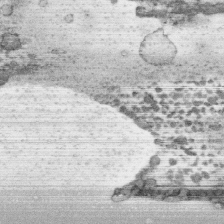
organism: Human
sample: CRL-1474